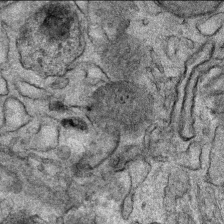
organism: Mouse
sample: Mouse Salivary gland